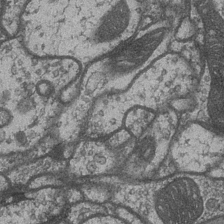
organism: Drosophila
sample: Optic medulla